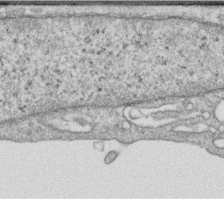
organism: Human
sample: Centriole in RPE cells